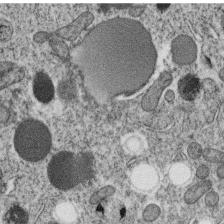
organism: C. elegans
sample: C. elegans oocyte; sperm cells